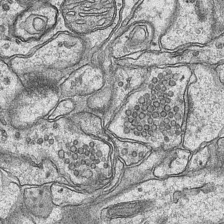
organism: Mouse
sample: CA1 Hippocampus